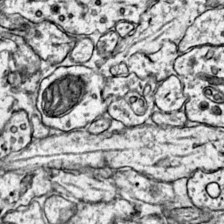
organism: Mouse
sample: Primary visual cortex